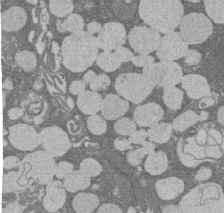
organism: Rat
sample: Salivary granule